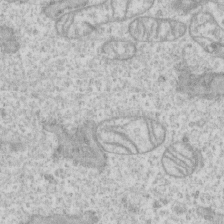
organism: Human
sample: CRL-1474